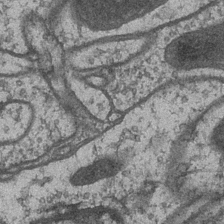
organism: Drosophila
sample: Optic medulla